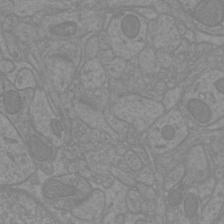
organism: Mouse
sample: Cortical neurons